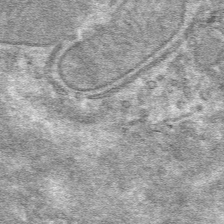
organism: Mouse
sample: Mouse hepatocytes